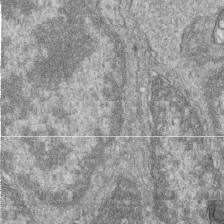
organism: Zebrafish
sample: Cilia; retinal pigment epithelium